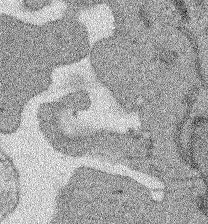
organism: Human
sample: HeLa cells